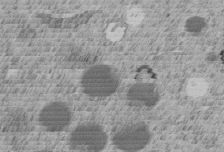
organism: C. elegans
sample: C. elegans embryo early stage